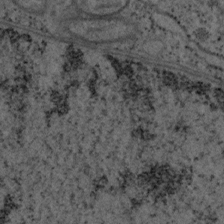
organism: Human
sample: HeLa cells